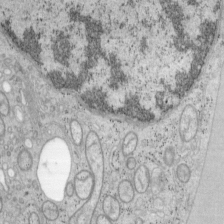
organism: Mouse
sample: OT-I killer T cells with ID8 ovarian cancer cells